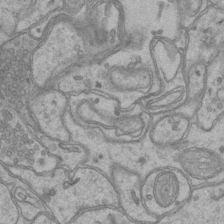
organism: Mouse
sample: CA1 Hippocampus